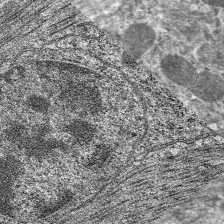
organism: C. elegans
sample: Pharynx